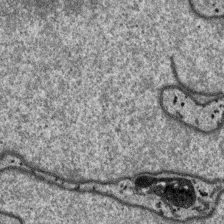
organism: Human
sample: Lung epithelial cells, uninfected (mock) control